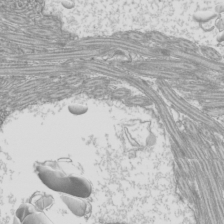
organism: Mouse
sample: Cilia; mouse epididymis